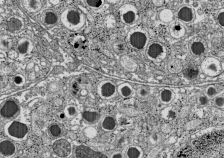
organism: C57BL Mouse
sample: Pancreatic islet